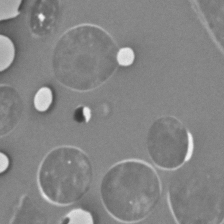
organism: C. elegans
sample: C. elegans embryo